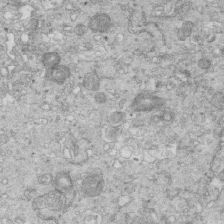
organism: Mouse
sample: Multiciliated cells